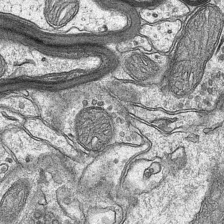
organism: Mouse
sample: CA1 Hippocampus